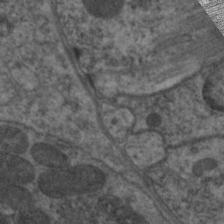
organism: C. elegans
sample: Pharynx